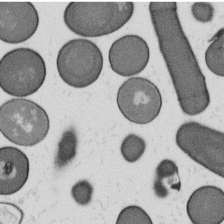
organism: B. subtilis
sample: Bacterial spore